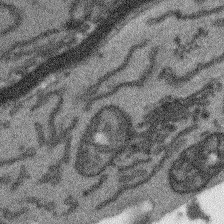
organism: Arabidopsis thaliana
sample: Root tip